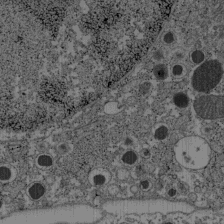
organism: C57BL Mouse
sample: Pancreatic islet